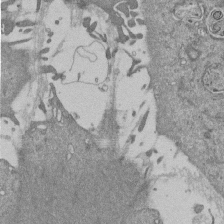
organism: Mouse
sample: ED-1 cell nuclei; centrioles